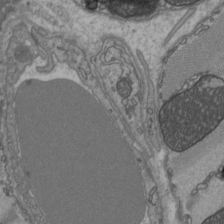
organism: C57BL Mouse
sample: Heart